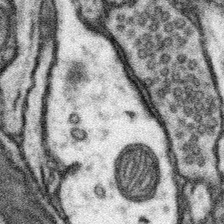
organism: Mouse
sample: Somatosensory cortex neuropil